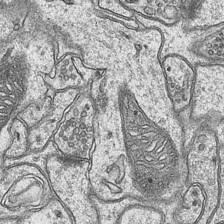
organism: Mouse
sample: CA1 Hippocampus